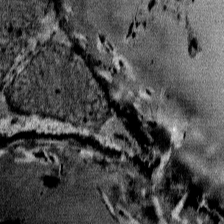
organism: Mouse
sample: Mouse Salivary gland